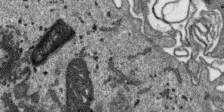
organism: Human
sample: Lung epithelial cells infected with SARS-CoV-2